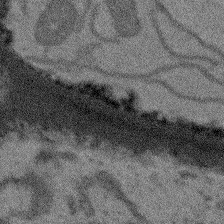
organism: Arabidopsis thaliana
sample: Root tip